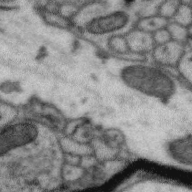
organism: Zebra finch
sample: Brain